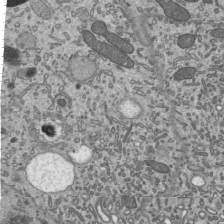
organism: Mouse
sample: Mouse epididymis efferent ductule cilia